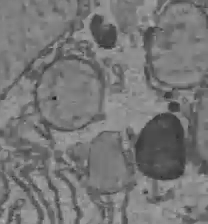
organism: C57BL Mouse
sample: Liver